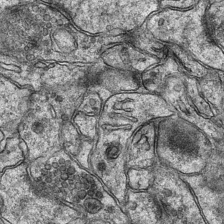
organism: Mouse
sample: CA1 Hippocampus